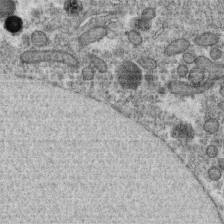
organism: C. elegans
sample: C. elegans oocyte; sperm cells